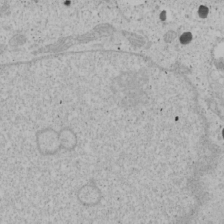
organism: Human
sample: Mitochondria in U2OS cells